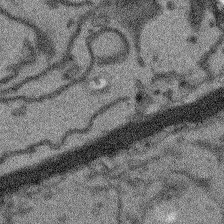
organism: Arabidopsis thaliana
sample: Root tip